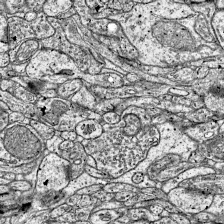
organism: Mouse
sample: Visual Cortex